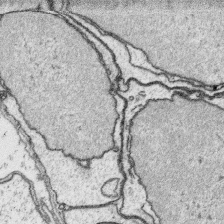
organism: Platynereis dumerilii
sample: Parapodia